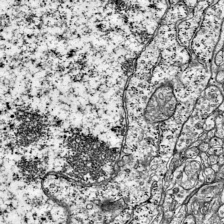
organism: Mouse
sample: Visual Cortex